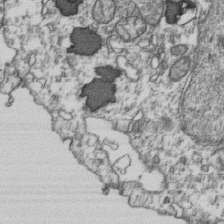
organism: Human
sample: Activated Jurkat CD4+ T cells